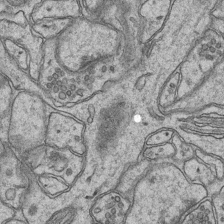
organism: Mouse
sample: CA1 Hippocampus